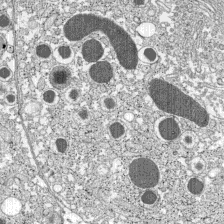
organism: C57BL Mouse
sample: Pancreatic islet